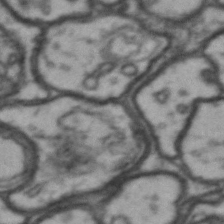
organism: Drosophila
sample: Brain